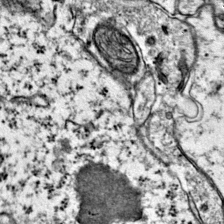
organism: Mouse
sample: Primary visual cortex